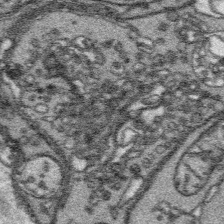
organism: Platynereis dumerilii